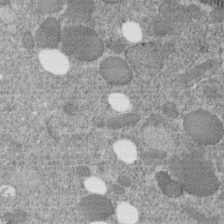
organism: C. elegans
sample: C. elegans embryo early stage